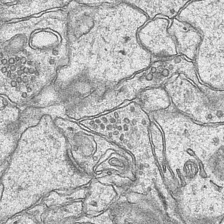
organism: Mouse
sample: CA1 Hippocampus